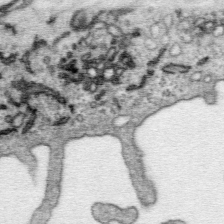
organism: Human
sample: HeLa cells